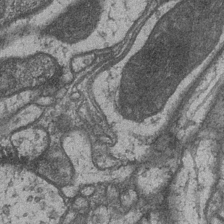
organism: Drosophila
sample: Optic medulla